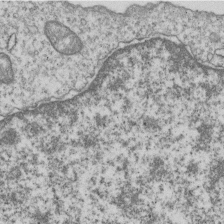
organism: Human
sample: MDA-MB-231 cells